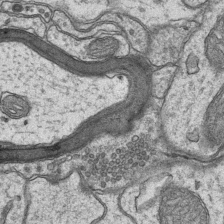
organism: Mouse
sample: CA1 Hippocampus